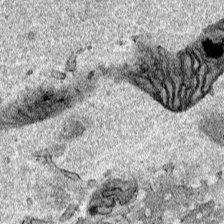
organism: Human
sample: Mitochondria in HCT116 cells